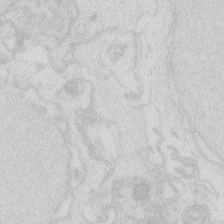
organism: Zebrafish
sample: Macrophage